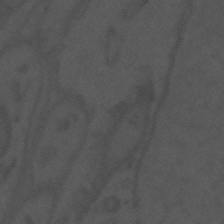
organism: Mouse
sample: Suprachiasmatic nucleus